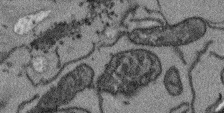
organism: Arabidopsis thaliana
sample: Root tip